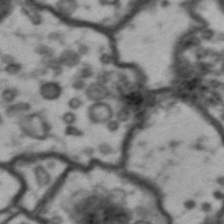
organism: Drosophila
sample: Brain